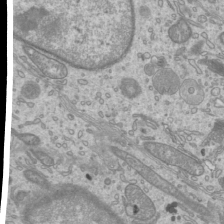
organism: Mouse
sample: Cilia; mouse epididymis